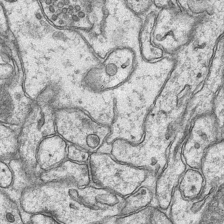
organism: Mouse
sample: CA1 Hippocampus